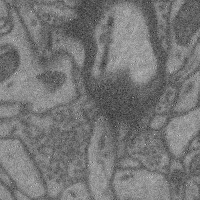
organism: Mouse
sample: Cerebral cortex